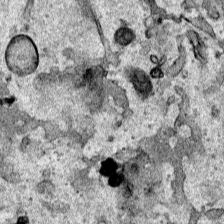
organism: Human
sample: Mitochondria in HCT116 cells